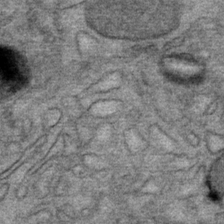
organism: Mouse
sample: Mouse Salivary gland